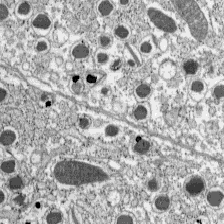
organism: C57BL Mouse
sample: Pancreatic islet